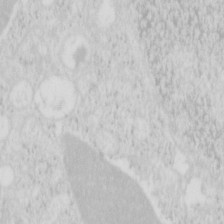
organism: Mouse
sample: Pancreas